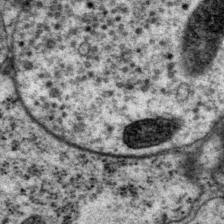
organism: P. pacificus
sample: Pharynx